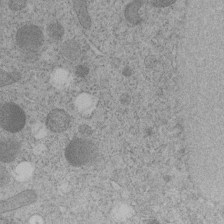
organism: C. elegans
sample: C. elegans embryo early stage